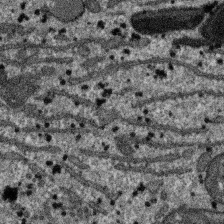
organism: Human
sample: Lung epithelial cells infected with SARS-CoV-2